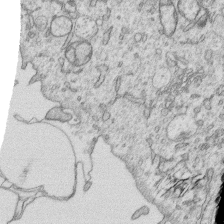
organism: Human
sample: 1205lu cells